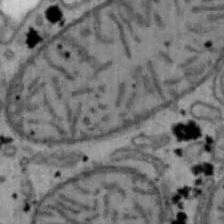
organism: Mouse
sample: Liver